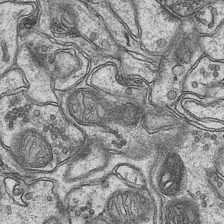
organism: Mouse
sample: CA1 Hippocampus